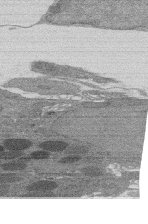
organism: Rat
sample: Salivary granule